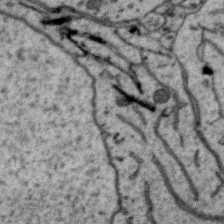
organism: Zebra finch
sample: Brain